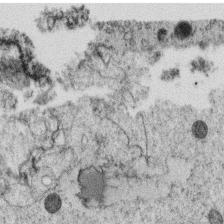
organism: C. elegans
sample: C. elegans oocyte; sperm cells